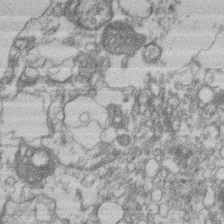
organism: Mouse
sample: T cell stromal cell synapse